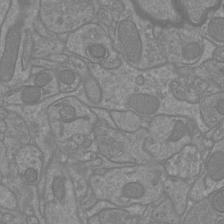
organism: Mouse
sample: Cortical neurons